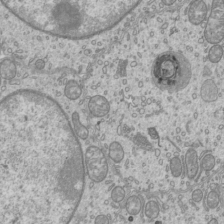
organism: Mouse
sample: Cilia; mouse epididymis